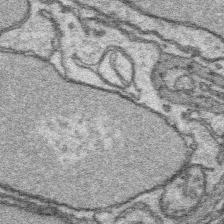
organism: Platynereis dumerilii